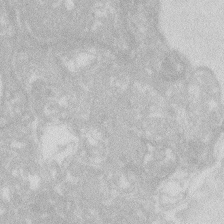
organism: Zebrafish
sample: Macrophage